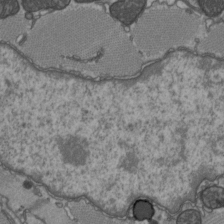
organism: C57BL Mouse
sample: Heart